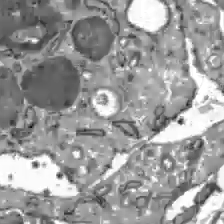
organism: C57BL Mouse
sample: Liver